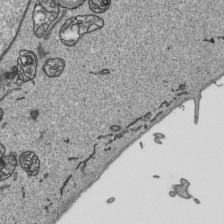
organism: Human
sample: Mitochondria in HCT116 cells